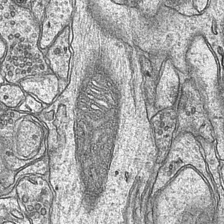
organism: Mouse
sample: CA1 Hippocampus